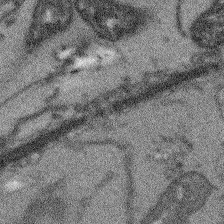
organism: Arabidopsis thaliana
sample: Root tip